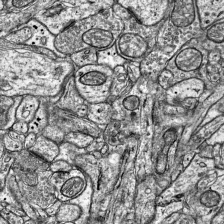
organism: Mouse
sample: Visual Cortex